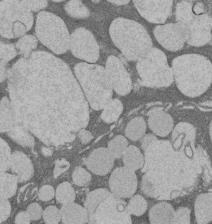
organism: Rat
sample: Salivary granule